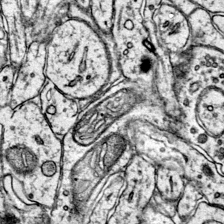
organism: Mouse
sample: Primary visual cortex